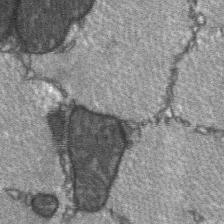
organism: C57BL Mouse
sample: Soleus